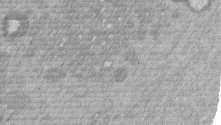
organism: Mouse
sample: Dividing mouse embryo 1 cell stage